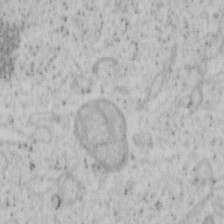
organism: Human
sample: HeLa cells